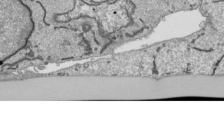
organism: Human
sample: Mitochondria in HCT116 cells